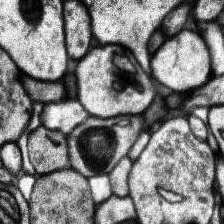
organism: Human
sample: Temporal Lobe